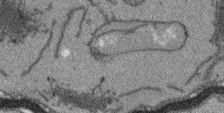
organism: Arabidopsis thaliana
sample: Root tip